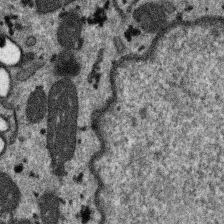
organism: Human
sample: Lung epithelial cells infected with SARS-CoV-2